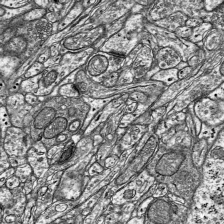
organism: Mouse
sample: Visual Cortex